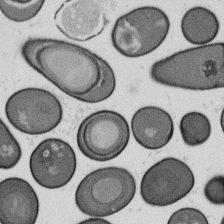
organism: B. subtilis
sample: Bacterial spore